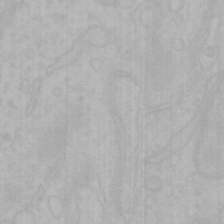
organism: Mouse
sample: Choroid plexus